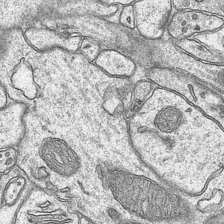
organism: Mouse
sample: CA1 Hippocampus